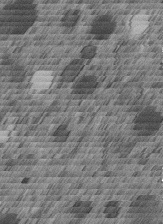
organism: C. elegans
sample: C. elegans embryo early stage